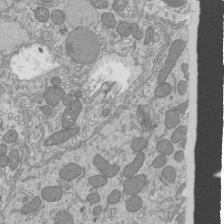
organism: Mouse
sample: Cilia; mouse epididymis